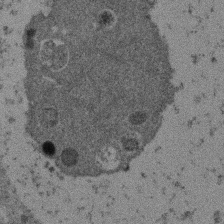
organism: Mouse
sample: Dividing mouse embryo 1 cell stage